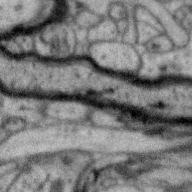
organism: Zebra finch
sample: Brain